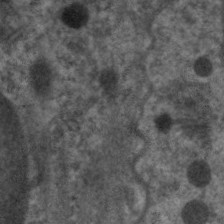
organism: C. elegans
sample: Pharynx